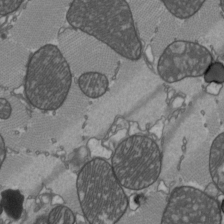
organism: C57BL Mouse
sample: Heart